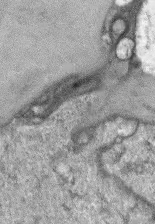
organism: Mouse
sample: Corneal nerves